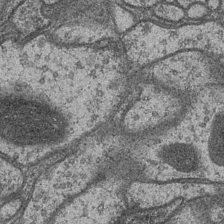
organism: Drosophila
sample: Optic medulla